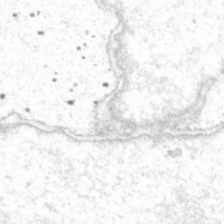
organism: Human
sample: HeLa cells